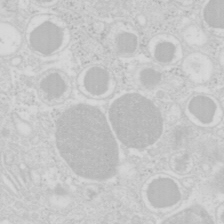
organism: Mouse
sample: Pancreas